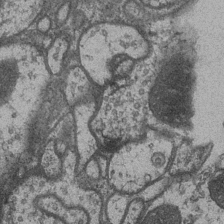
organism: Drosophila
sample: Optic medulla